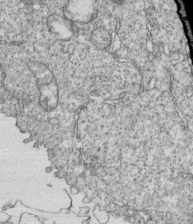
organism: Human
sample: HeLa cell HIV synapse